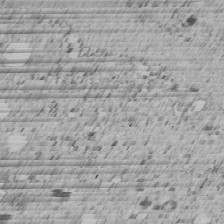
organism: C. elegans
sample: C. elegans embryo early stage